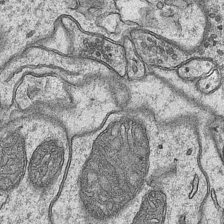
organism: Mouse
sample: CA1 Hippocampus